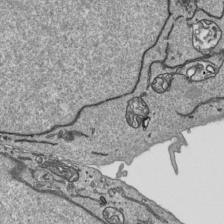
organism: Human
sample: Mitochondria in HCT116 cells